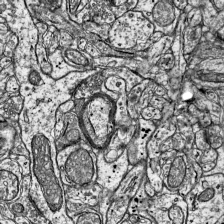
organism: Mouse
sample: Visual Cortex